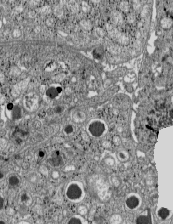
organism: C57BL Mouse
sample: Pancreatic islet